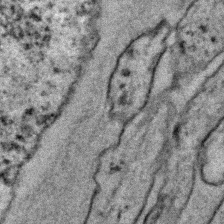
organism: C. elegans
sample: C. elegans embryo